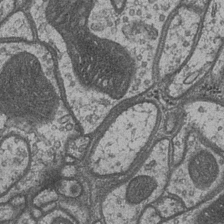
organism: Drosophila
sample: Optic medulla